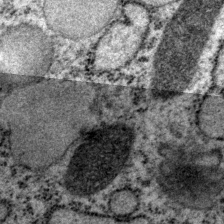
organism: P. pacificus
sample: Pharynx